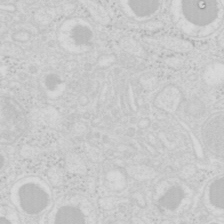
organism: Mouse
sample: Pancreas